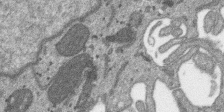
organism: Human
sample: Lung epithelial cells infected with SARS-CoV-2